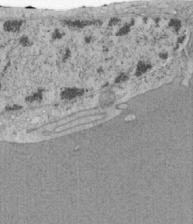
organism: Human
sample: HeLa cells